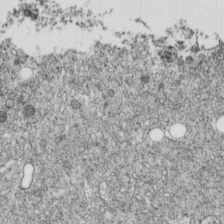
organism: C. elegans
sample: C. elegans embryo early stage